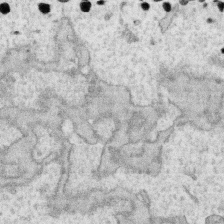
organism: Human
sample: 1205lu cells